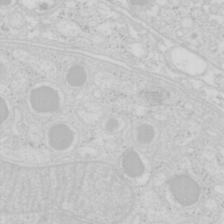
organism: Mouse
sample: Pancreas